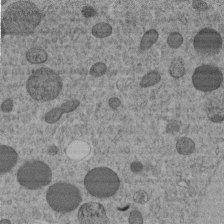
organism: C. elegans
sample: C. elegans embryo early stage